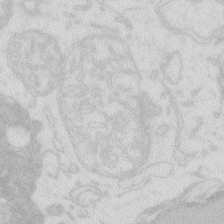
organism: Zebrafish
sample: Macrophage